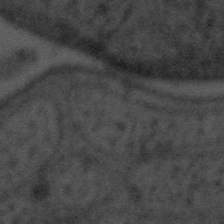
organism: Tuwongella immobilis